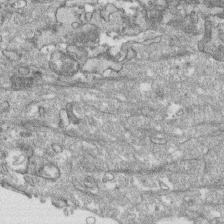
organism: Human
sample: CRL-1474